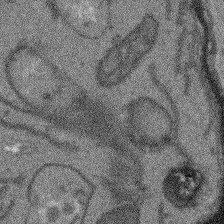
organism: Arabidopsis thaliana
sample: Root tip